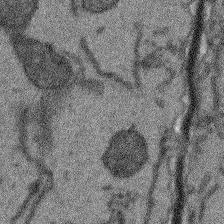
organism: Arabidopsis thaliana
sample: Root tip